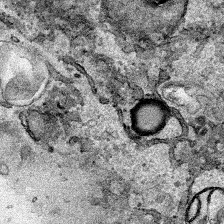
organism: Human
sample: Mitochondria in HCT116 cells